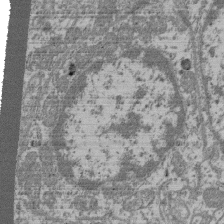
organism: Mouse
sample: Glomerulus